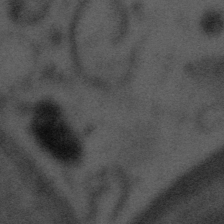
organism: Tuwongella immobilis